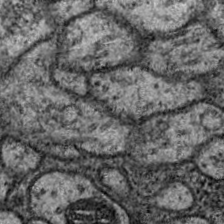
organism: Drosophila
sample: Ventral Nerve Cord